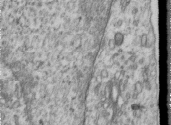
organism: Human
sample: Centriole in RPE cells